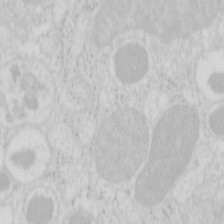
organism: Mouse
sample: Pancreas